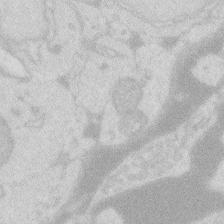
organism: Zebrafish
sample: Macrophage